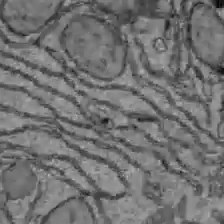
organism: C57BL Mouse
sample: Liver